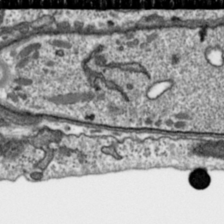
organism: Toxoplasma gondii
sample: Parasites in a vacuole inside a host cell